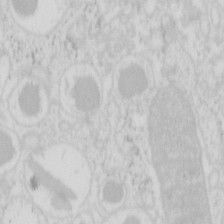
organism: Mouse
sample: Pancreas